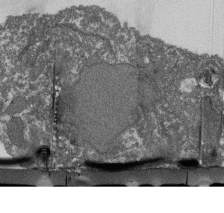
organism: Dictyostelium discoideum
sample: Dictyostelium multivesicular bodies